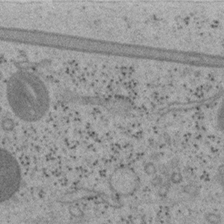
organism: Human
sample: HeLa cells